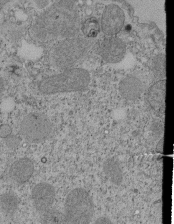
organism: Tetrahymena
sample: Cilia in tetrahymena